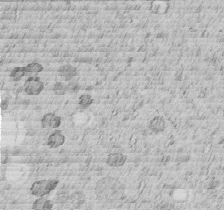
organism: C. elegans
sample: C. elegans embryo early stage